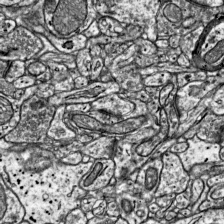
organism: Mouse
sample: Visual Cortex